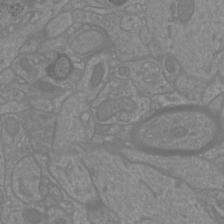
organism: Mouse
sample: Cortical neurons